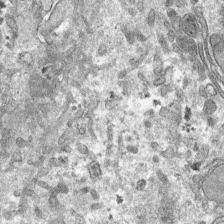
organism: Mouse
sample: Mouse hepatocytes